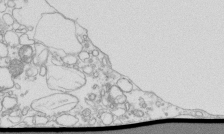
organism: Mouse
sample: Macrophages